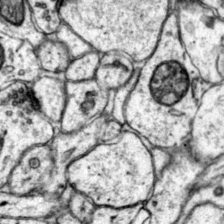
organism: Mouse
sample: Primary visual cortex